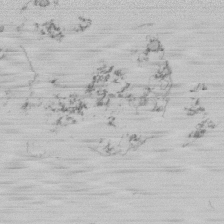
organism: Mouse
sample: Activated Pmel transgenic CD8+ T Cells